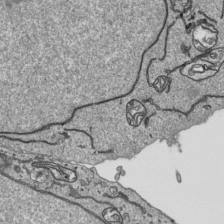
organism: Human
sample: Mitochondria in HCT116 cells